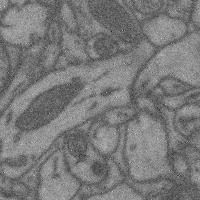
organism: Mouse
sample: Cerebral cortex